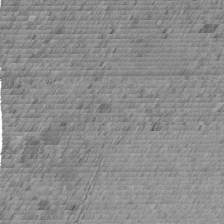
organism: C. elegans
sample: C. elegans embryo early stage